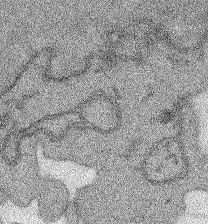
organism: Human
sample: HeLa cells